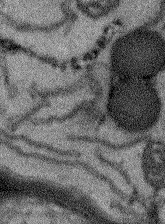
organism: Arabidopsis thaliana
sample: Root tip